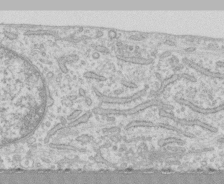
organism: Human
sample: CRL-1474